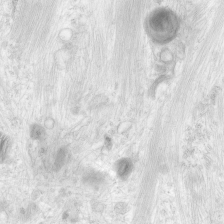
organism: Human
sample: Neocortex